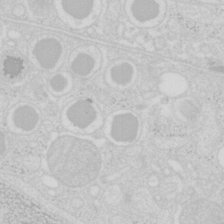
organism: Mouse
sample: Pancreas